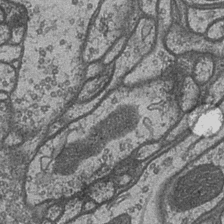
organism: Drosophila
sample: Optic medulla